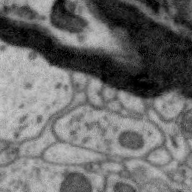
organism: Zebra finch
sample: Brain